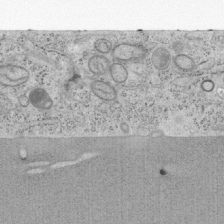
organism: Human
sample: HeLa cells